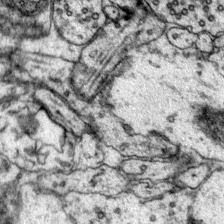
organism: Mouse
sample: Primary visual cortex